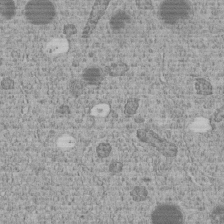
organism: C. elegans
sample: C. elegans embryo early stage